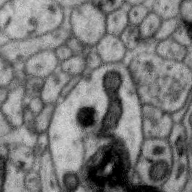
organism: Zebra finch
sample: Brain